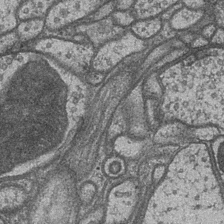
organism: Drosophila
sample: Optic medulla